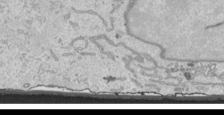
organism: Human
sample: Mitochondria in HCT116 cells